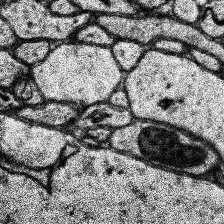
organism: Human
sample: Temporal Lobe